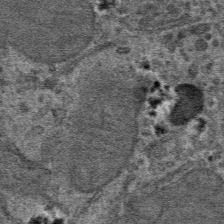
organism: Mouse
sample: Mouse hepatocytes